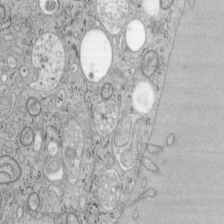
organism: Mouse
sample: OT-I killer T cells with ID8 ovarian cancer cells